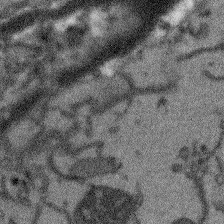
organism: Arabidopsis thaliana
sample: Root tip